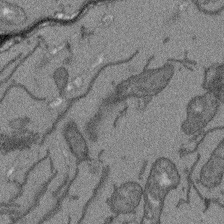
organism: Arabidopsis thaliana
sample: Root tip